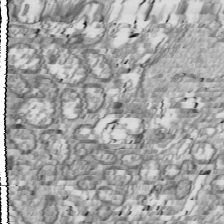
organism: Drosophila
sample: Cell division; meiosis; drosophila spermatocytes